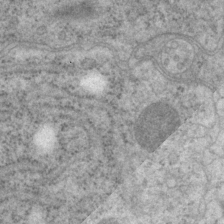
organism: P. pacificus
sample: Pharynx